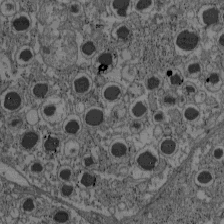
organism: C57BL Mouse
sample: Pancreatic islet